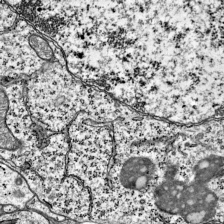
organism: Mouse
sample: Visual Cortex